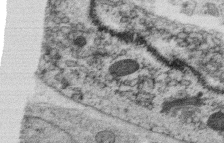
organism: C. elegans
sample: C. elegans oocyte; sperm cells